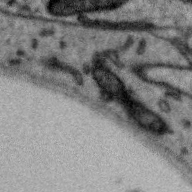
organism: Zebra finch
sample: Brain